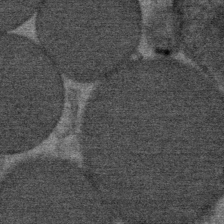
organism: Mouse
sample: Mouse Salivary gland